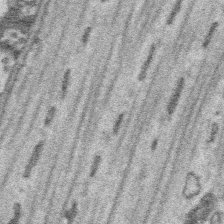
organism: Platynereis dumerilii